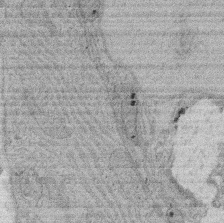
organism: Rat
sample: Salivary granule